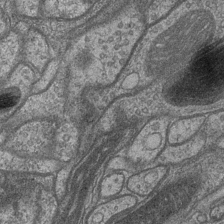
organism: Drosophila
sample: Optic medulla